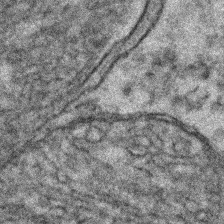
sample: Kidney